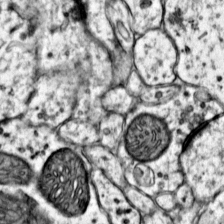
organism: Mouse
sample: Primary visual cortex